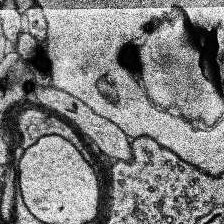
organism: Human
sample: Temporal Lobe